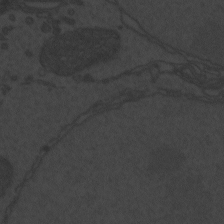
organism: Zebrafish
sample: Macrophage infected with Toxoplasma gondii